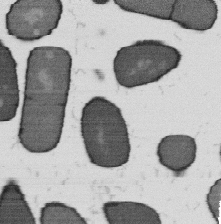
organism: B. subtilis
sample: Bacterial spore